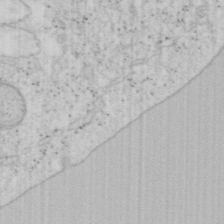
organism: Human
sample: HeLa cells